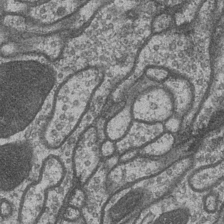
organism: Drosophila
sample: Optic medulla